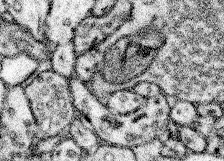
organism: Mouse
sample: Somatosensory cortex neuropil